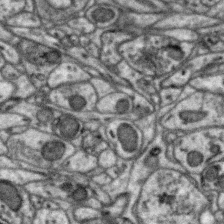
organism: Zebra finch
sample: Brain